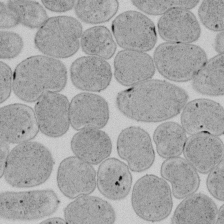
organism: E. coli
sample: Bacterial nucleoid